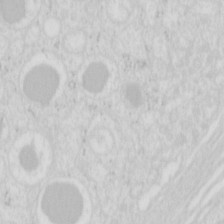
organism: Mouse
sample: Pancreas